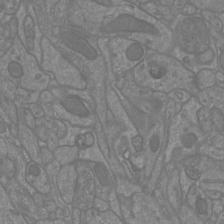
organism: Mouse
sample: Cortical neurons